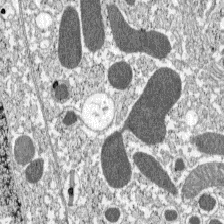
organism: C57BL Mouse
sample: Pancreatic islet